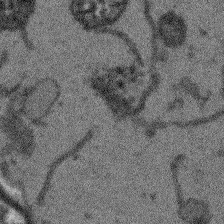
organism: Arabidopsis thaliana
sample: Root tip